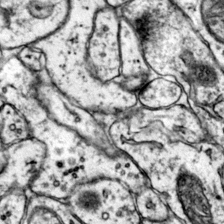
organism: Mouse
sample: Primary visual cortex